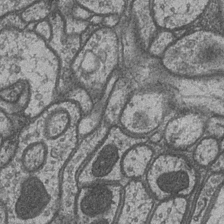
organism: Drosophila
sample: Optic medulla